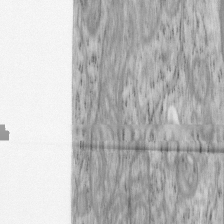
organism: Human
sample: HeLa cells